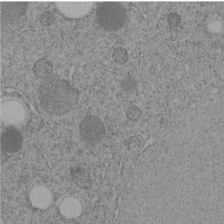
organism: C. elegans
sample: C. elegans embryo early stage